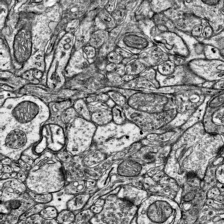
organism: Mouse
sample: Visual Cortex